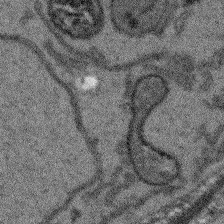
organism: Arabidopsis thaliana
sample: Root tip